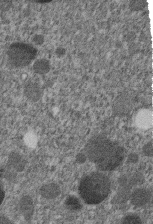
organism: C. elegans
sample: C. elegans embryo early stage